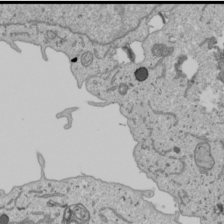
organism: Human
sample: Mitochondria in U2OS cells